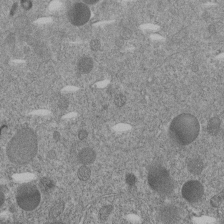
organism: C. elegans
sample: C. elegans embryo early stage